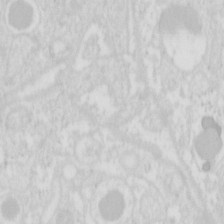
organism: Mouse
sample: Pancreas